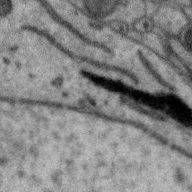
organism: Zebra finch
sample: Brain